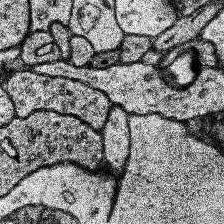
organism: Human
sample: Temporal Lobe